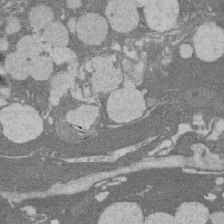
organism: Rat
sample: Salivary granule